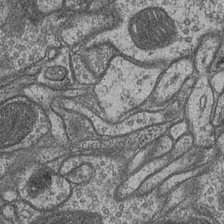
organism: Drosophila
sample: Optic medulla